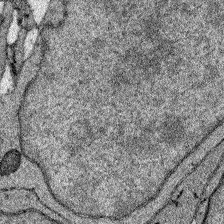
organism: Zebrafish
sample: Larval olfactory bulb